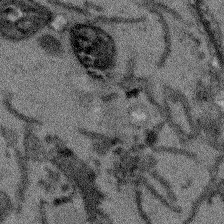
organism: Arabidopsis thaliana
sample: Root tip